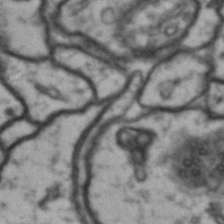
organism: Drosophila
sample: Brain